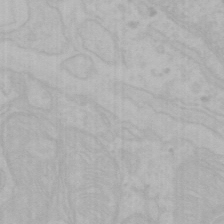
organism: Mouse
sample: Choroid plexus